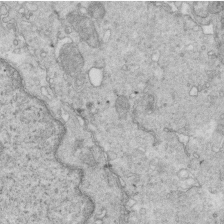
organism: Mouse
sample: Multiciliated cells